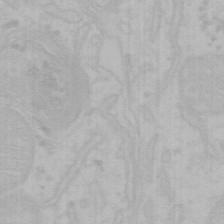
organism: Mouse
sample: Choroid plexus